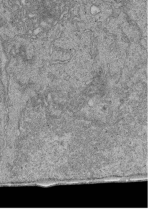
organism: Human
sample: Retinal organoid Rod and Cone cells